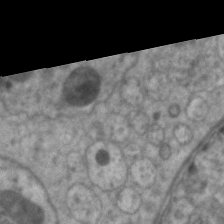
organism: C. elegans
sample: Pharynx